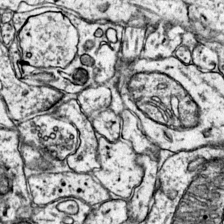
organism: Mouse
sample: Primary visual cortex